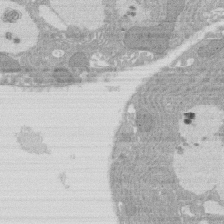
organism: Rat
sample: Salivary granule